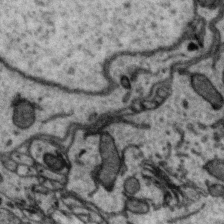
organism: Zebra finch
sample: Brain